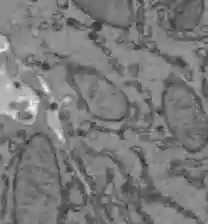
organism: C57BL Mouse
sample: Liver